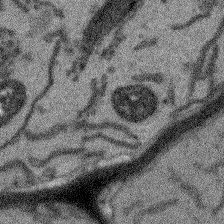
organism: Arabidopsis thaliana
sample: Root tip